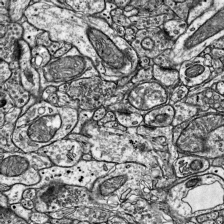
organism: Mouse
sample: Visual Cortex